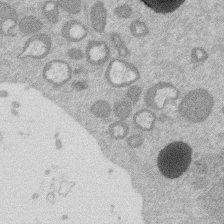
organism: Mouse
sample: Dividing mouse embryo 1 cell stage